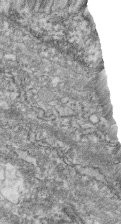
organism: Zebrafish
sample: Cilia; retinal pigment epithelium